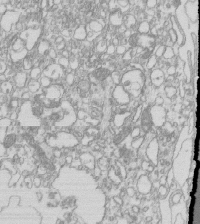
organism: Mouse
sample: Macrophages